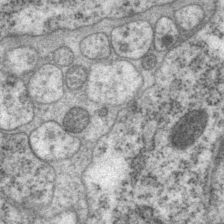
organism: P. pacificus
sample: Pharynx